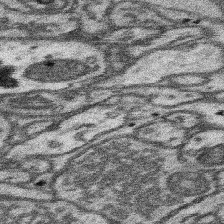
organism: Mouse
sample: Somatosensory cortex neuropil